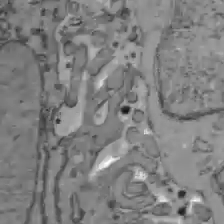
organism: C57BL Mouse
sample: Liver